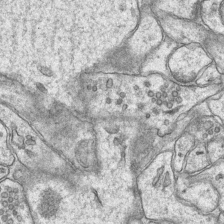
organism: Mouse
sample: CA1 Hippocampus